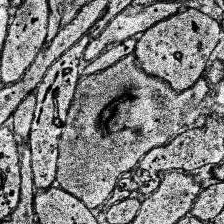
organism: Human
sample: Temporal Lobe